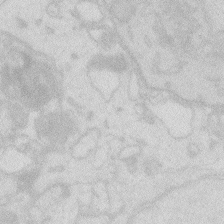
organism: Zebrafish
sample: Macrophage